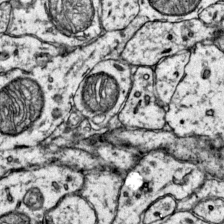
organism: Mouse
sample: Primary visual cortex